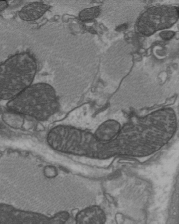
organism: C57BL Mouse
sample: Heart